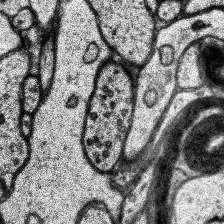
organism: Human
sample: Temporal Lobe